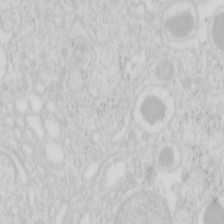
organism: Mouse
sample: Pancreas